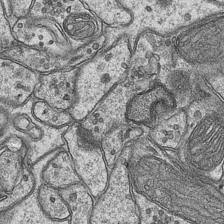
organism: Mouse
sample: CA1 Hippocampus